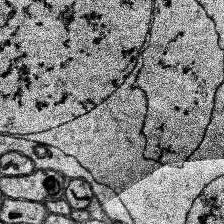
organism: Human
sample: Temporal Lobe